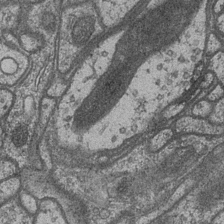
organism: Drosophila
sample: Optic medulla